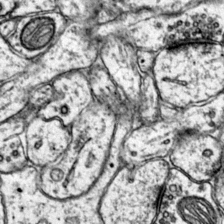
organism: Mouse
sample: Primary visual cortex